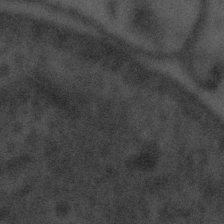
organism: Tuwongella immobilis